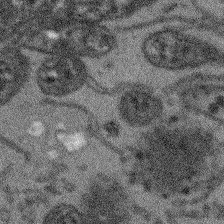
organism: Arabidopsis thaliana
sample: Root tip